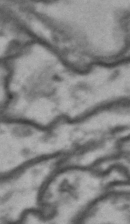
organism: Drosophila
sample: Brain